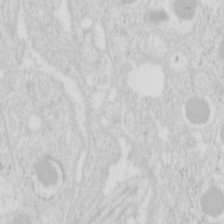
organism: Mouse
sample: Pancreas